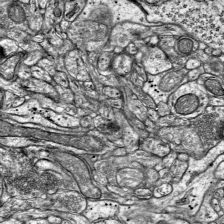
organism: Mouse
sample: Visual Cortex